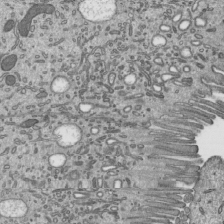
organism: Mouse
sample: Mouse epididymis efferent ductule cilia